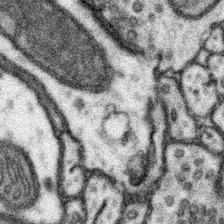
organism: Mouse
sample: Somatosensory cortex neuropil